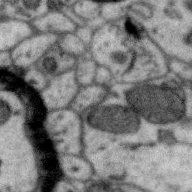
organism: Zebra finch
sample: Brain